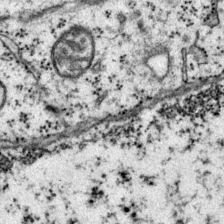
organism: Mouse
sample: Primary visual cortex